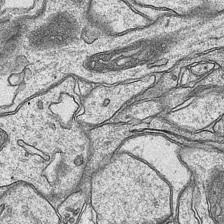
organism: Mouse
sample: CA1 Hippocampus